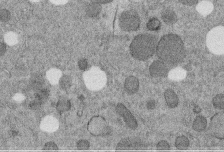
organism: C. elegans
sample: C. elegans embryo early stage